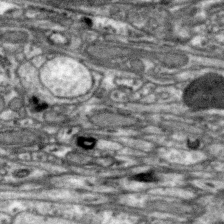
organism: Zebra finch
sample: Brain